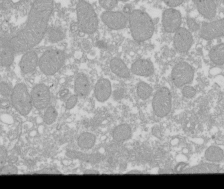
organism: Xenopus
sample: Cilia; centrioles in frog embryo cells